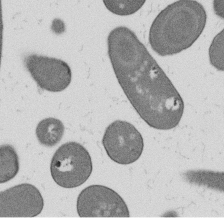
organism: B. subtilis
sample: Bacterial spore